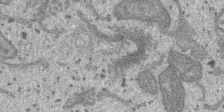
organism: Human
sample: Lung epithelial cells infected with SARS-CoV-2